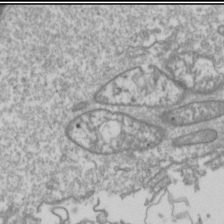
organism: Drosophila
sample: Cell division; meiosis; drosophila spermatocytes